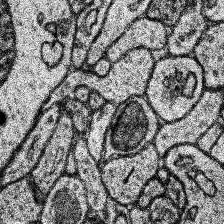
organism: Human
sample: Temporal Lobe